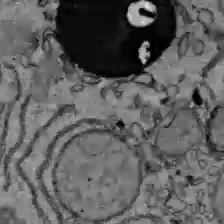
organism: C57BL Mouse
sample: Liver